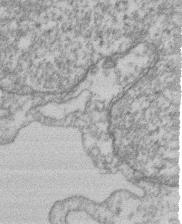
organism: Mouse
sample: T cell stromal cell synapse